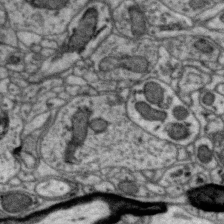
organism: Zebra finch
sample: Brain